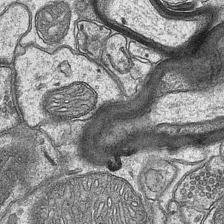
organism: Mouse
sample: CA1 Hippocampus